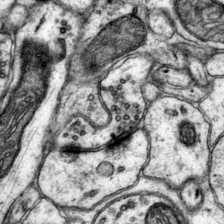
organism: Mouse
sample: Primary visual cortex